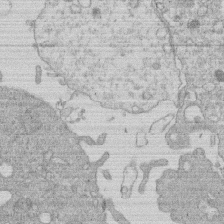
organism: Human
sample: Macrophage cells